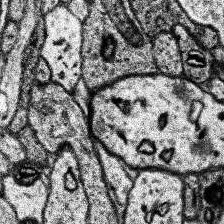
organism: Human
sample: Temporal Lobe